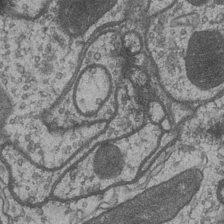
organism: Drosophila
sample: Optic medulla